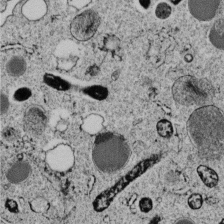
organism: C. elegans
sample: C. elegans embryo early stage